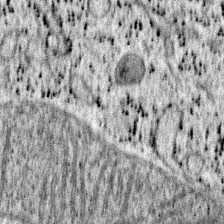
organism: Human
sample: HeLa cells